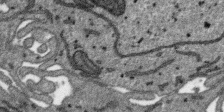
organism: Human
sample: Lung epithelial cells, uninfected (mock) control